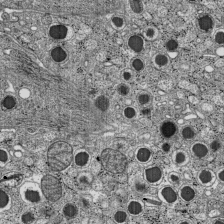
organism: C57BL Mouse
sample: Pancreatic islet